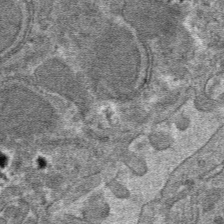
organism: Mouse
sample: Mouse hepatocytes